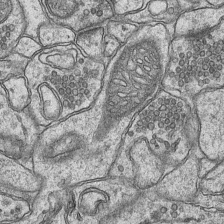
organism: Mouse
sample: CA1 Hippocampus